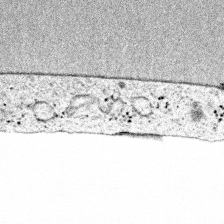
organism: Human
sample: HeLa cells